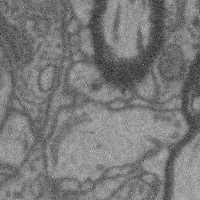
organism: Mouse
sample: Cerebral cortex